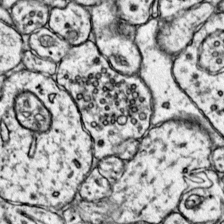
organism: Mouse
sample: Primary visual cortex